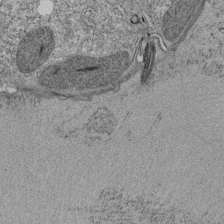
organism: Tetrahymena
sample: Cilia in tetrahymena